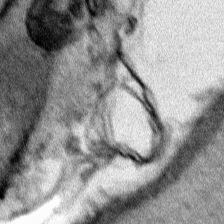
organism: Human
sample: Mitochondria in HCT116 cells